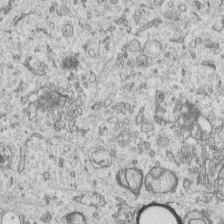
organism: Human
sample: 1205lu cells